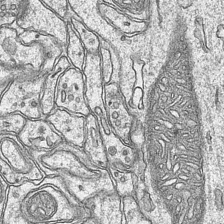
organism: Mouse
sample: CA1 Hippocampus